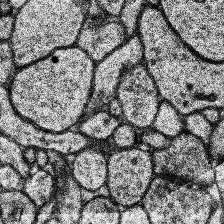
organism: Human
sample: Temporal Lobe